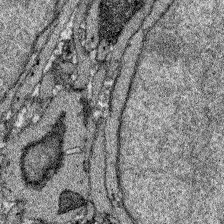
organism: Zebrafish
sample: Larval olfactory bulb